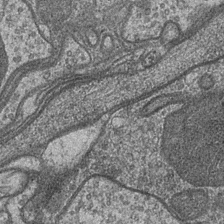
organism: Drosophila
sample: Optic medulla